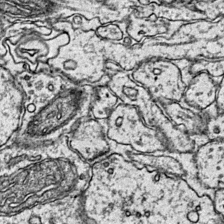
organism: Mouse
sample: Primary visual cortex